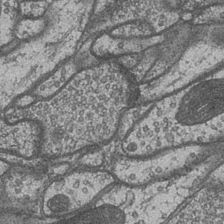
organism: Drosophila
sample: Optic medulla